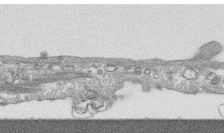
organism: Human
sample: CRL-1474